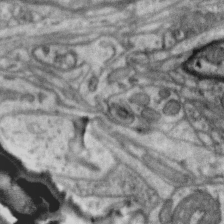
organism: Zebra finch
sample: Brain